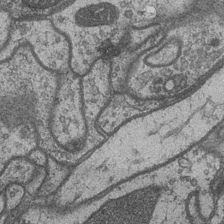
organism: Drosophila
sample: Optic medulla